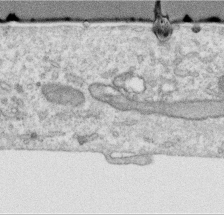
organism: Human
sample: Centriole in RPE cells